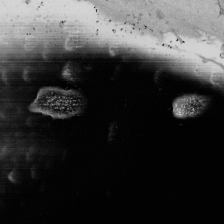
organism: Mouse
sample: ED-1 cell nuclei; centrioles